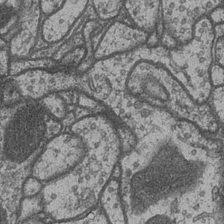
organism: Drosophila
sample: Optic medulla